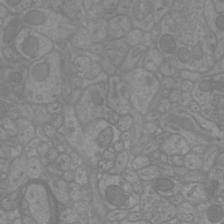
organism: Mouse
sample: Cortical neurons